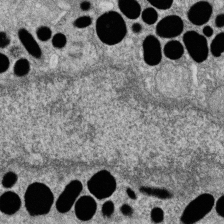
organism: Zebrafish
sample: Cilia; retinal pigment epithelium